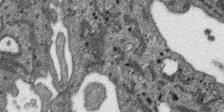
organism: Human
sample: Lung epithelial cells infected with SARS-CoV-2